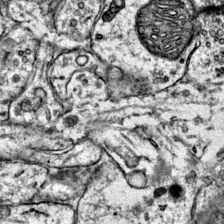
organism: Mouse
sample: Primary visual cortex